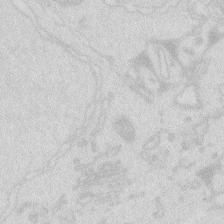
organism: Zebrafish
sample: Macrophage